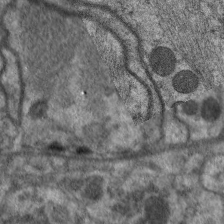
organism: C. elegans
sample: Pharynx